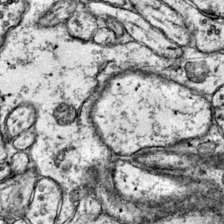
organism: Mouse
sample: Primary visual cortex